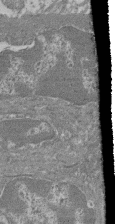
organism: Mouse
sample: Glomerulus